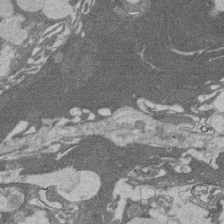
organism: Rat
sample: Salivary granule